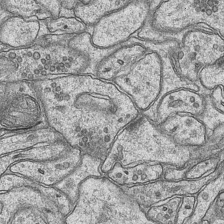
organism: Mouse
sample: CA1 Hippocampus